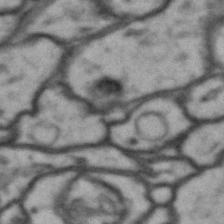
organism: Drosophila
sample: Brain